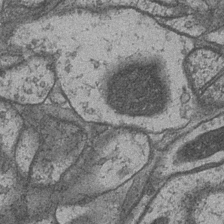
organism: Drosophila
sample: Optic medulla